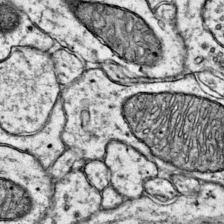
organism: Mouse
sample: Primary visual cortex